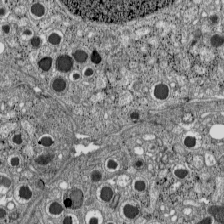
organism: C57BL Mouse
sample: Pancreatic islet